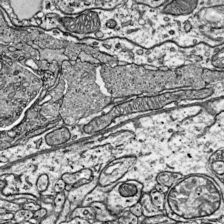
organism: Mouse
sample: Visual Cortex